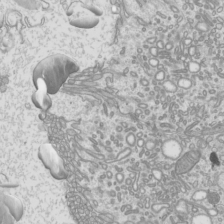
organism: Mouse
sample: Cilia; mouse epididymis